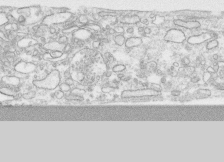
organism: Human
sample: CRL-1474